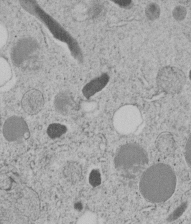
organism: C. elegans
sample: C. elegans embryo early stage